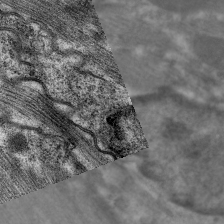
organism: C. elegans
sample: Pharynx